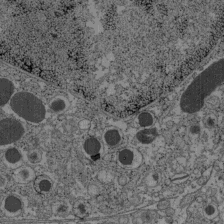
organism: C57BL Mouse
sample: Pancreatic islet